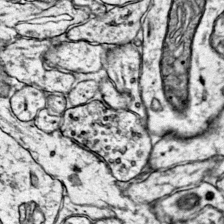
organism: Mouse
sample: Primary visual cortex